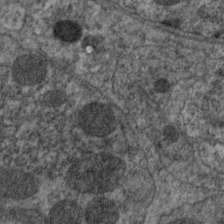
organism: C. elegans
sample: Pharynx